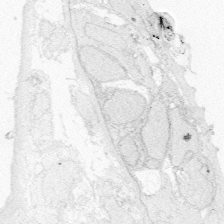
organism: Zebrafish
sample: Whole-Brain